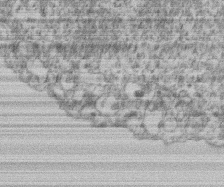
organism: Mouse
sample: T cell stromal cell synapse